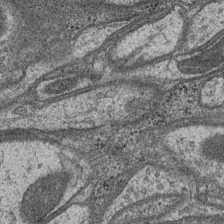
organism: Drosophila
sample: Optic medulla